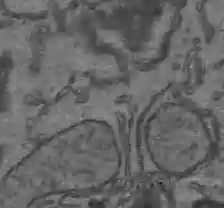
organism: C57BL Mouse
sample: Liver